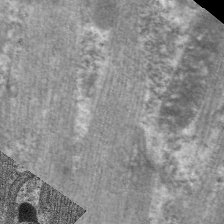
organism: C. elegans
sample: Pharynx